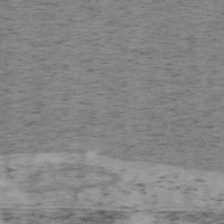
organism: Mouse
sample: OT-I killer T cells with ID8 ovarian cancer cells